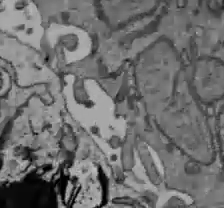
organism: C57BL Mouse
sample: Liver